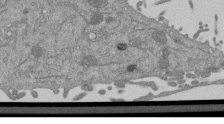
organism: Mouse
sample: ED-1 cell nuclei; centrioles